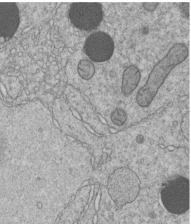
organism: C. elegans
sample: C. elegans embryo early stage